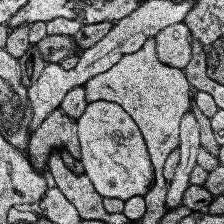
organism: Human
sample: Temporal Lobe